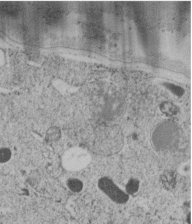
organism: C. elegans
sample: C. elegans embryo early stage